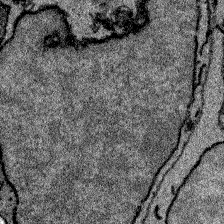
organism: Zebrafish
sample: Larval olfactory bulb